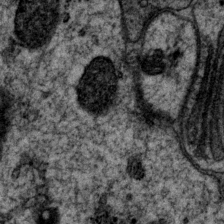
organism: P. pacificus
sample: Pharynx